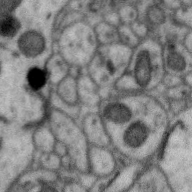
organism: Zebra finch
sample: Brain